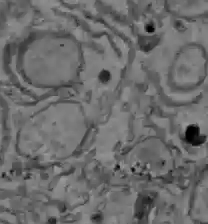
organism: C57BL Mouse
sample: Liver